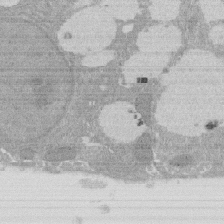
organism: Rat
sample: Salivary granule